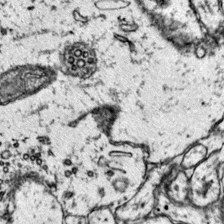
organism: Mouse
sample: Primary visual cortex